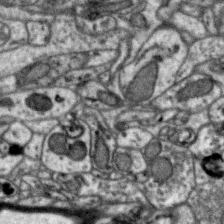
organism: Zebra finch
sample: Brain